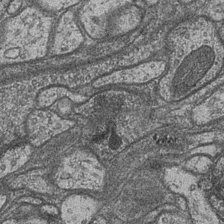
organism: Drosophila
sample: Optic medulla